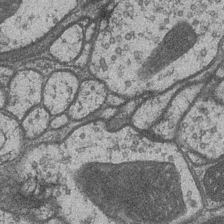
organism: Drosophila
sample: Optic medulla